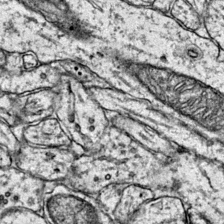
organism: Mouse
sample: Primary visual cortex